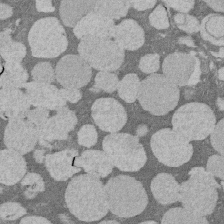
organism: Rat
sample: Salivary granule